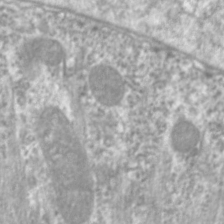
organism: C. elegans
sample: Pharynx